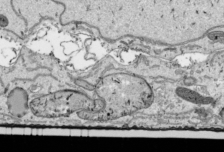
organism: Human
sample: Mitochondria in HCT116 cells